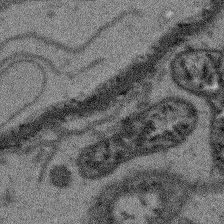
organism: Arabidopsis thaliana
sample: Root tip